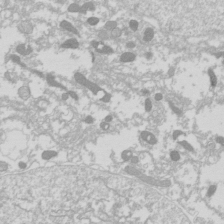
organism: Drosophila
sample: Cell division; meiosis; drosophila spermatocytes